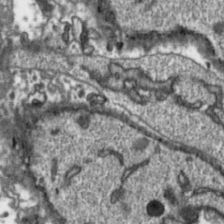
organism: Toxoplasma gondii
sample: Parasites in a vacuole inside a host cell